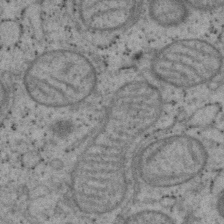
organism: Human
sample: HeLa cells